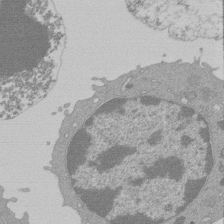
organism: Mouse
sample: Activated Pmel transgenic CD8+ T Cells